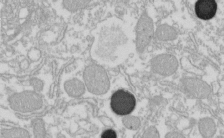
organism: Xenopus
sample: Cilia; centrioles in frog embryo cells